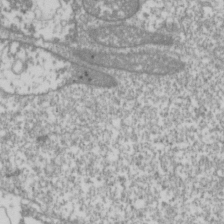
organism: Drosophila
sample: Cell division; meiosis; drosophila spermatocytes